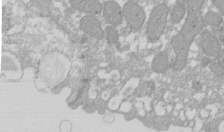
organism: Xenopus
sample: Cilia; centrioles in frog embryo cells